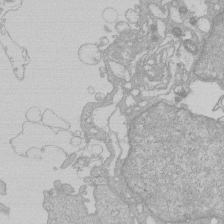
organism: Human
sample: Macrophage cells